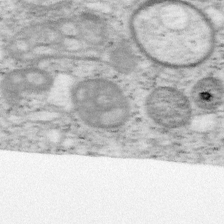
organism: Mouse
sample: OT-I killer T cells with ID8 ovarian cancer cells